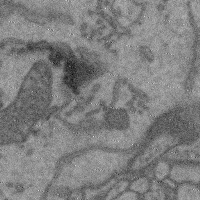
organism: Mouse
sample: Cerebral cortex